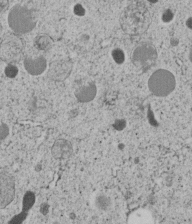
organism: C. elegans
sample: C. elegans embryo early stage